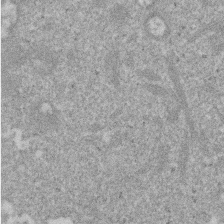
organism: Mouse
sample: Dividing mouse embryo 1 cell stage